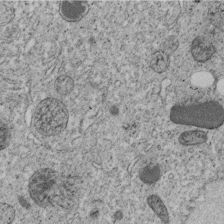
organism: C. elegans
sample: C. elegans embryo early stage